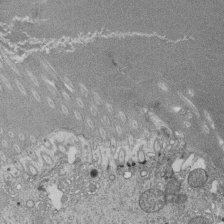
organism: Tetrahymena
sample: Cilia in tetrahymena